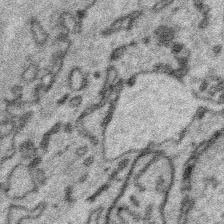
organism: Platynereis dumerilii